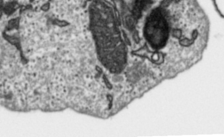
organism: Toxoplasma gondii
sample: Parasites in a vacuole inside a host cell